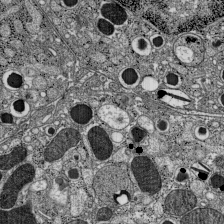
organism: C57BL Mouse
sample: Pancreatic islet